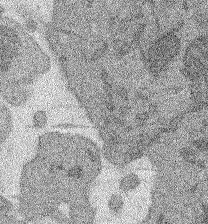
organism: Human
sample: HeLa cells